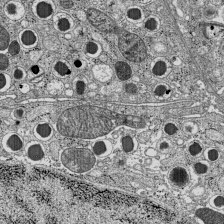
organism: C57BL Mouse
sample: Pancreatic islet